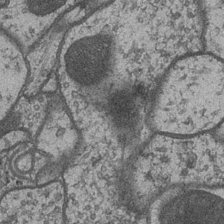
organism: Drosophila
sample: Optic medulla